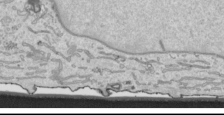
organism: Human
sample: Mitochondria in HCT116 cells